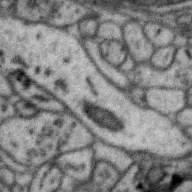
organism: Zebra finch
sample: Brain